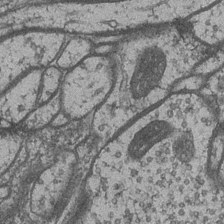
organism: Drosophila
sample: Optic medulla